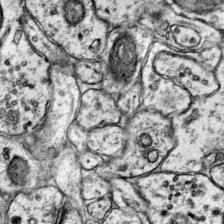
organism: Mouse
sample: Primary visual cortex